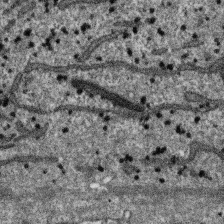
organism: Human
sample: Lung epithelial cells infected with SARS-CoV-2